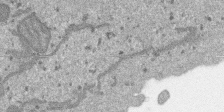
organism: Human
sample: Lung epithelial cells infected with SARS-CoV-2